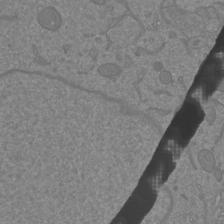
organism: Mouse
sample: Cortical neurons